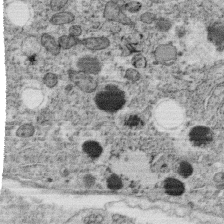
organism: C. elegans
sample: C. elegans oocyte; sperm cells